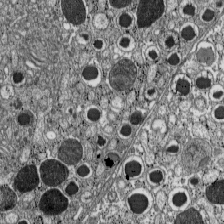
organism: C57BL Mouse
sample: Pancreatic islet